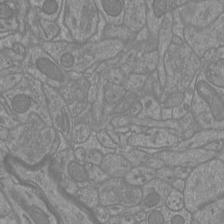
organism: Mouse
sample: Cortical neurons